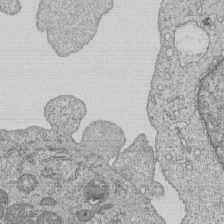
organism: Human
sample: MDA-MB-231 cells